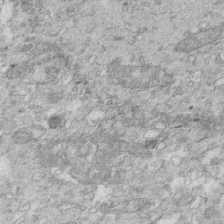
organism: Mouse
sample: Multiciliated cells